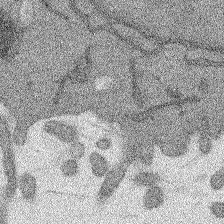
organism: Human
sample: HeLa cells